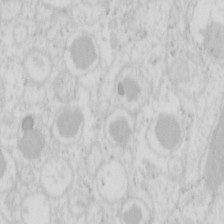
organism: Mouse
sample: Pancreas